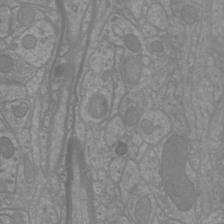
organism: Mouse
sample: Cortical neurons